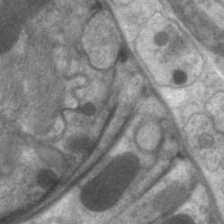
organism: C. elegans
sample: Pharynx